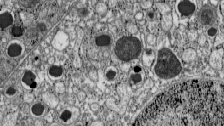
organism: C57BL Mouse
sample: Pancreatic islet